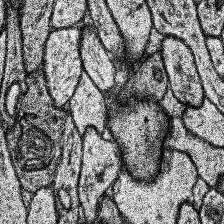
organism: Human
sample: Temporal Lobe